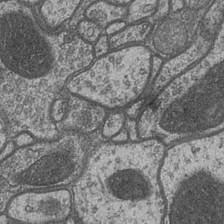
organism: Drosophila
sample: Optic medulla